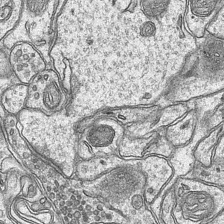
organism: Mouse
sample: CA1 Hippocampus